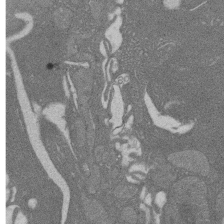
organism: Rat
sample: Salivary granule